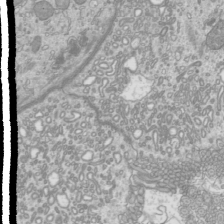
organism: Mouse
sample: Cilia; mouse epididymis